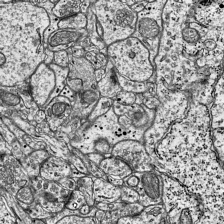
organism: Mouse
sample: Visual Cortex